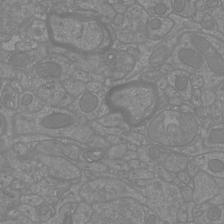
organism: Mouse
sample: Cortical neurons